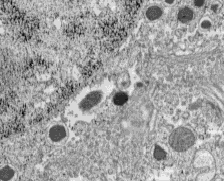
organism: C57BL Mouse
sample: Pancreatic islet